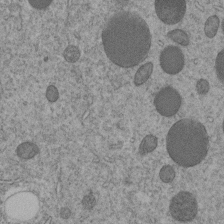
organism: C. elegans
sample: C. elegans embryo early stage